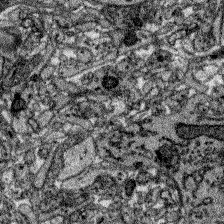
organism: Zebrafish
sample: Larval olfactory bulb